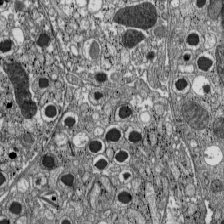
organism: C57BL Mouse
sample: Pancreatic islet